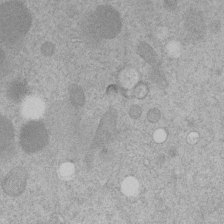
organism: C. elegans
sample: C. elegans embryo early stage